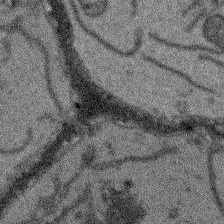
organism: Arabidopsis thaliana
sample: Root tip